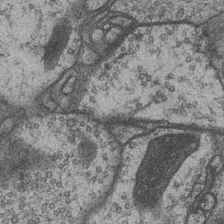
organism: Drosophila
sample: Optic medulla